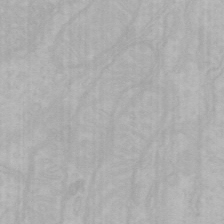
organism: Mouse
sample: Choroid plexus